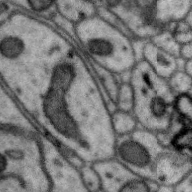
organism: Zebra finch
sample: Brain